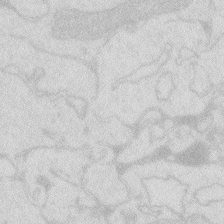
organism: Zebrafish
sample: Macrophage